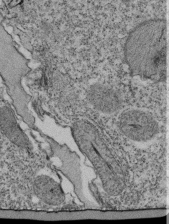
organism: Tetrahymena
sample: Cilia in tetrahymena